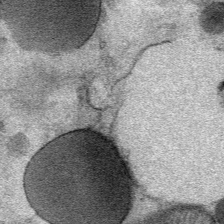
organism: Mouse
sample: Mouse Salivary gland